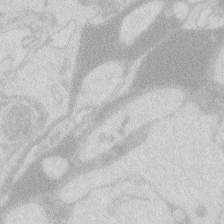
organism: Zebrafish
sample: Macrophage